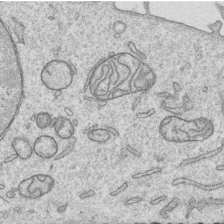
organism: Human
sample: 1205lu cells